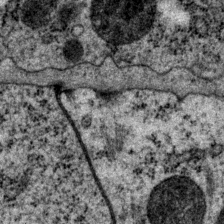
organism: P. pacificus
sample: Pharynx